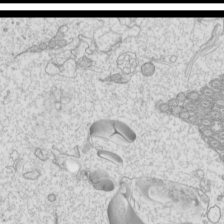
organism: Mouse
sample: Cilia; mouse epididymis